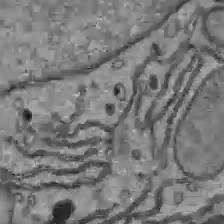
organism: C57BL Mouse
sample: Liver